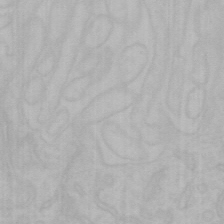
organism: Mouse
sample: Choroid plexus